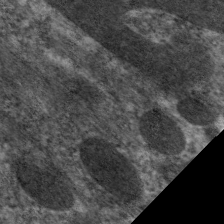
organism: C. elegans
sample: Pharynx